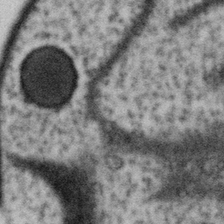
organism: Gemmata obscuriglobus